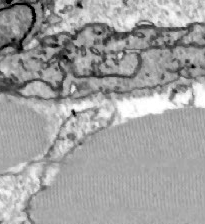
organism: Zebrafish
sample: Actinotrichia fibers